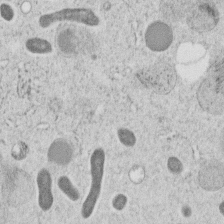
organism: C. elegans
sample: C. elegans embryo early stage